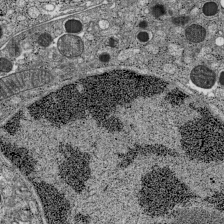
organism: C57BL Mouse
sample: Pancreatic islet